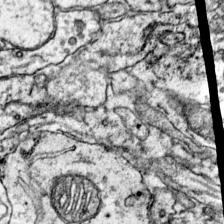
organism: Mouse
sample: Primary visual cortex